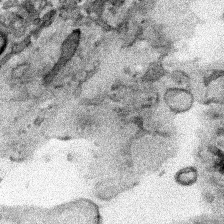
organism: Human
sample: Mitochondria in HCT116 cells